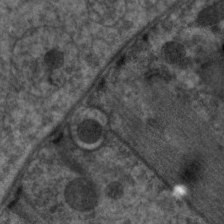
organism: C. elegans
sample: Pharynx